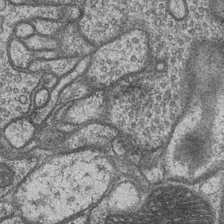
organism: Drosophila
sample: Optic medulla